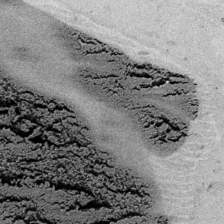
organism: Embia sp.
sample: Silk gland